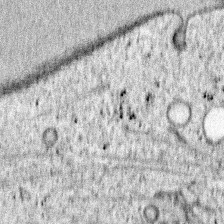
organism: Human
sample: HeLa cells